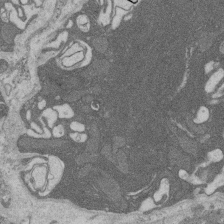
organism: Rat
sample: Salivary granule